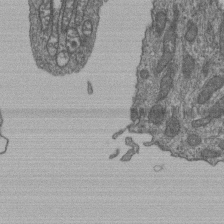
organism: Human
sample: Retinal organoid Rod and Cone cells